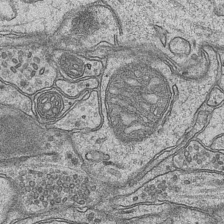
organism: Mouse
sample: CA1 Hippocampus